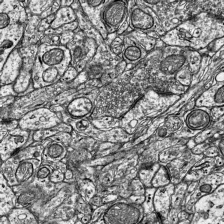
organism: Mouse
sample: Visual Cortex